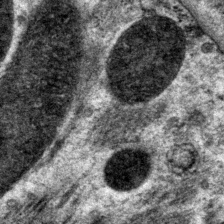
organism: P. pacificus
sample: Pharynx